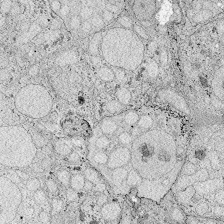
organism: Zebrafish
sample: Whole-Brain